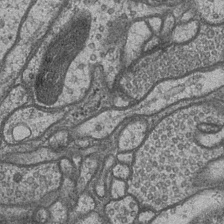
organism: Drosophila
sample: Optic medulla